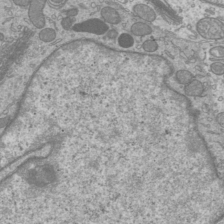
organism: Mouse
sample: Cilia; mouse epididymis